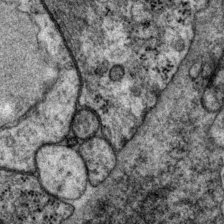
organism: P. pacificus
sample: Pharynx